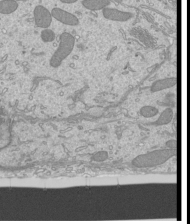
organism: Mouse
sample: Cilia; mouse epididymis